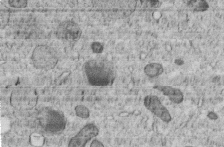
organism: C. elegans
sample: C. elegans embryo early stage